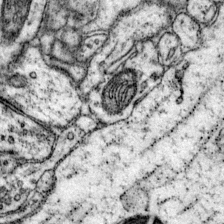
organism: Mouse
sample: Primary visual cortex